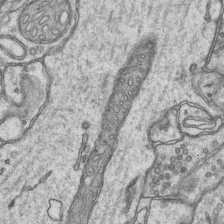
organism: Mouse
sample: CA1 Hippocampus